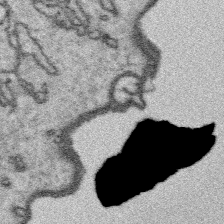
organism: Platynereis dumerilii